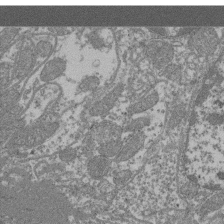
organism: Mouse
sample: Glomerulus